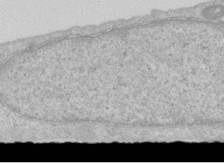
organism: Human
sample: Centriole in RPE cells